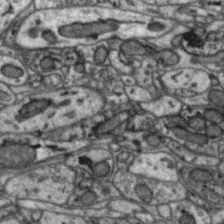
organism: Zebra finch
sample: Brain